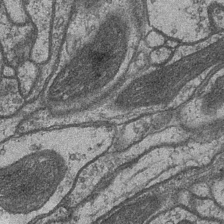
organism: Drosophila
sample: Optic medulla